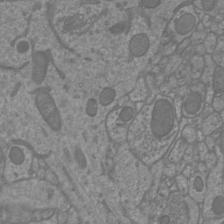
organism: Mouse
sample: Cortical neurons